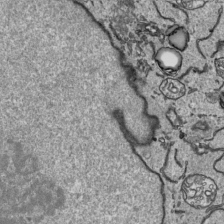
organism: Human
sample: Mitochondria in HCT116 cells